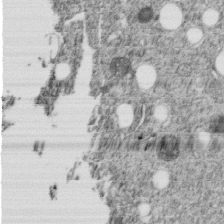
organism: C. elegans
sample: C. elegans embryo early stage